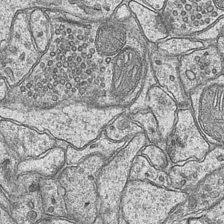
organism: Mouse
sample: CA1 Hippocampus